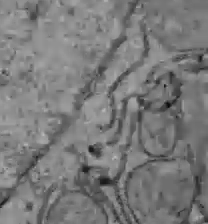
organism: C57BL Mouse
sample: Liver